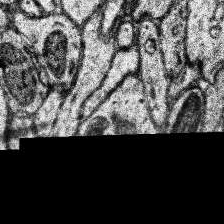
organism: Human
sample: Temporal Lobe